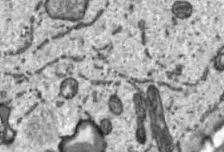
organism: Human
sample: HeLa cells